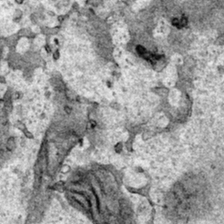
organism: Human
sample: Mitochondria in HCT116 cells